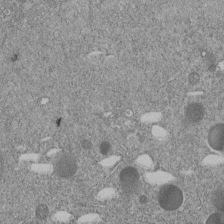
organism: C. elegans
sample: C. elegans embryo early stage